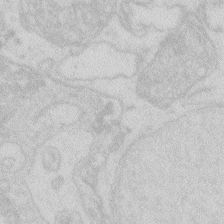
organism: Zebrafish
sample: Macrophage